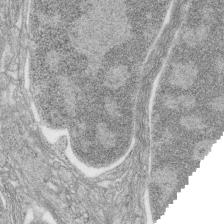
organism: Zebrafish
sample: synaptic ribbons in rod cells and cone cells